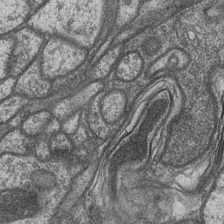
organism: Drosophila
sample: Optic medulla